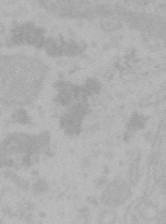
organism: Mouse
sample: Choroid plexus